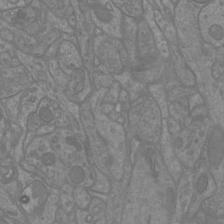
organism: Mouse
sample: Cortical neurons